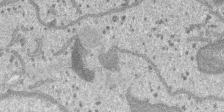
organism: Human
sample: Lung epithelial cells infected with SARS-CoV-2